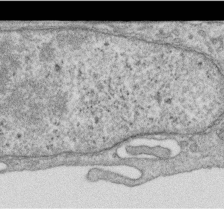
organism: Human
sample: Centriole in RPE cells